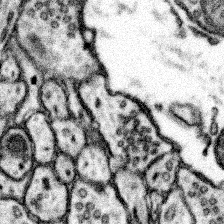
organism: Mouse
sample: Somatosensory cortex neuropil